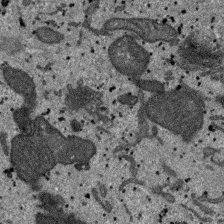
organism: Human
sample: Lung epithelial cells, uninfected (mock) control